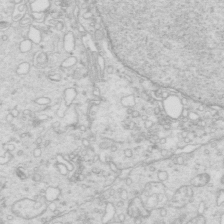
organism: Mouse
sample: Multiciliated cells